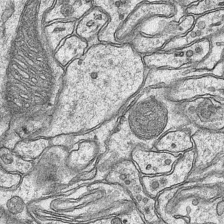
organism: Mouse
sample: CA1 Hippocampus